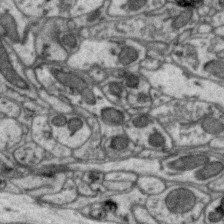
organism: Zebra finch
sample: Brain